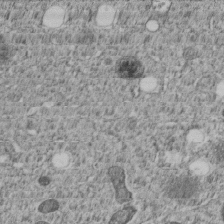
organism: C. elegans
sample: C. elegans embryo early stage